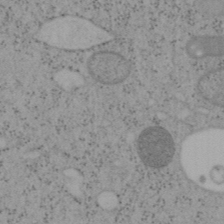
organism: Mouse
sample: OT-I killer T cells with ID8 ovarian cancer cells